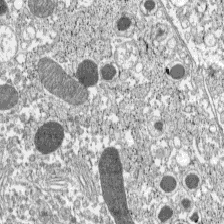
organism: C57BL Mouse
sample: Pancreatic islet